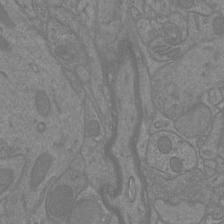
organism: Mouse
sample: Cortical neurons